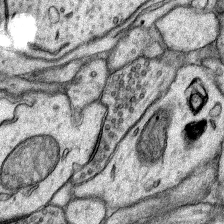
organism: Rat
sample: Hippocampus